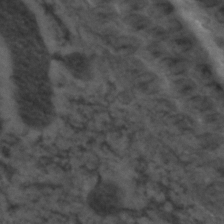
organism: C. elegans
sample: C. elegans embryo